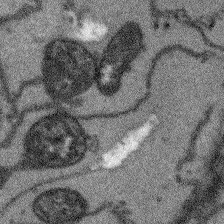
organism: Arabidopsis thaliana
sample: Root tip